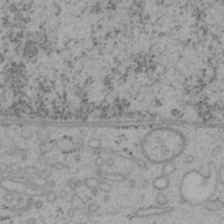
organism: Human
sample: HeLa cells